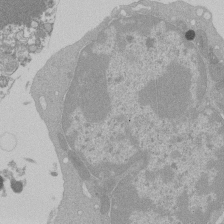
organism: Mouse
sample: Activated Pmel transgenic CD8+ T Cells